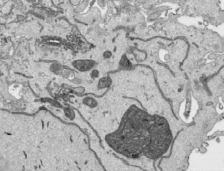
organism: Human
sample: Mitochondria in HCT116 cells